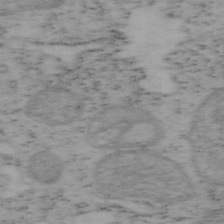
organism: Mouse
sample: OT-I killer T cells with ID8 ovarian cancer cells